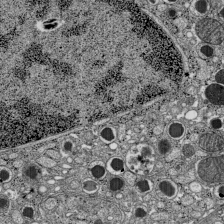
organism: C57BL Mouse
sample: Pancreatic islet